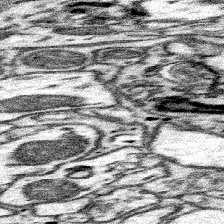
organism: Mouse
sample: Somatosensory cortex neuropil